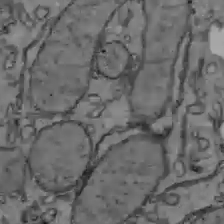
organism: C57BL Mouse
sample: Liver